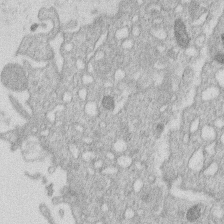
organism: Human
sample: Macrophage cells